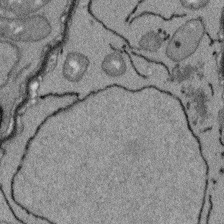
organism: Arabidopsis thaliana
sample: Root tip